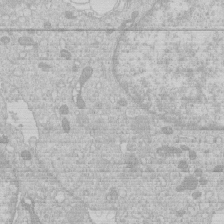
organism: Human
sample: Macrophage cells